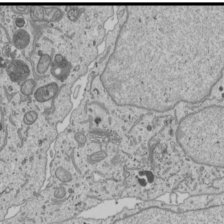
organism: Human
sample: Mitochondria in U2OS cells